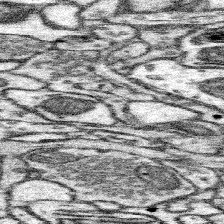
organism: Mouse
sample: Somatosensory cortex neuropil